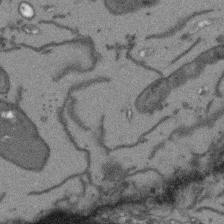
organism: Arabidopsis thaliana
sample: Root tip